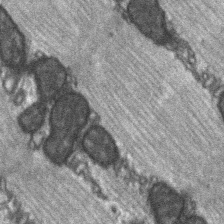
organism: C57BL Mouse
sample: Soleus